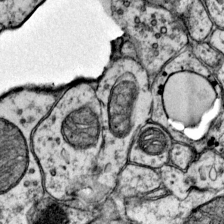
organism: Mouse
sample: Primary visual cortex